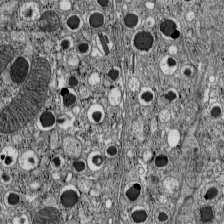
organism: C57BL Mouse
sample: Pancreatic islet